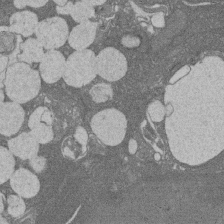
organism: Rat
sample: Salivary granule